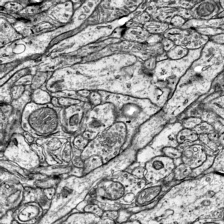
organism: Mouse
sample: Visual Cortex